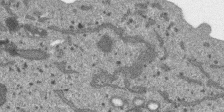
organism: Human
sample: Lung epithelial cells infected with SARS-CoV-2